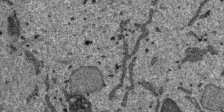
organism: Human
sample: Lung epithelial cells infected with SARS-CoV-2